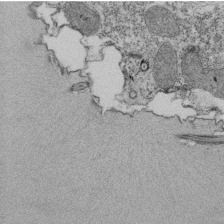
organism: Tetrahymena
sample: Cilia in tetrahymena